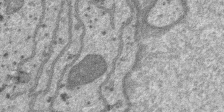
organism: Human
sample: Lung epithelial cells infected with SARS-CoV-2